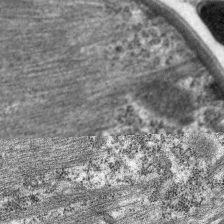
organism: C. elegans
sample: Pharynx